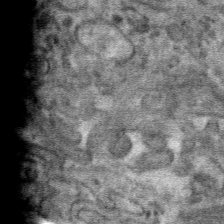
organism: Mouse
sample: Mouse hepatocytes